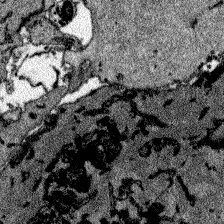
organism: Zebrafish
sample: Larval olfactory bulb